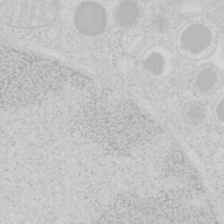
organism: Mouse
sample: Pancreas